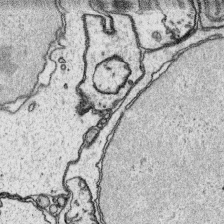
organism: Platynereis dumerilii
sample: Parapodia